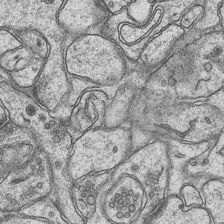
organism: Mouse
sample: CA1 Hippocampus